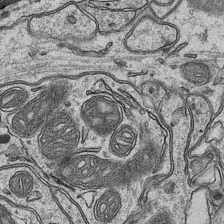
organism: Mouse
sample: CA1 Hippocampus